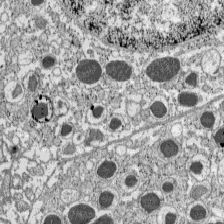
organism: C57BL Mouse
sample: Pancreatic islet